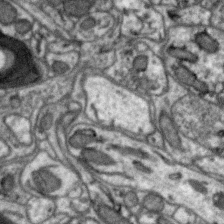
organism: Zebra finch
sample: Brain